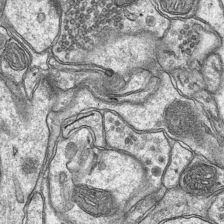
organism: Mouse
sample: CA1 Hippocampus